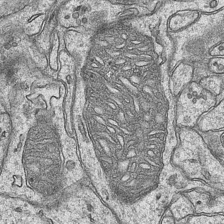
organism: Mouse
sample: CA1 Hippocampus